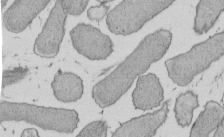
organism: E. coli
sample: Bacterial nucleoid